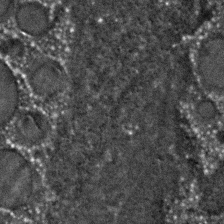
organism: C. elegans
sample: C. elegans embryo